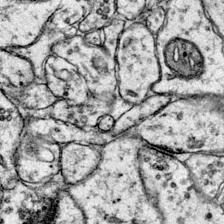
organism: Mouse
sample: Primary visual cortex